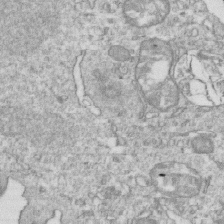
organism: Mouse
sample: Activated OT-1 CD8+ T cells